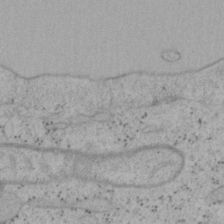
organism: Human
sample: HeLa cells